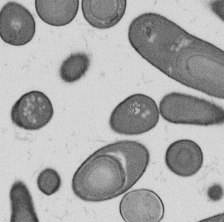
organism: B. subtilis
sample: Bacterial spore